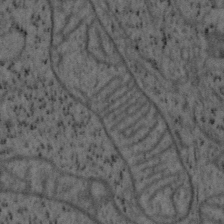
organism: Human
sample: HeLa cells